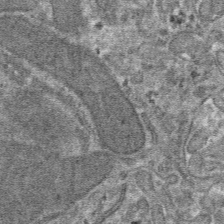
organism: Mouse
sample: Mouse hepatocytes